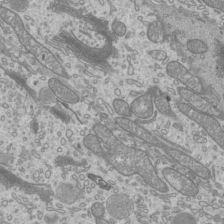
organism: Mouse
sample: Cilia; mouse epididymis